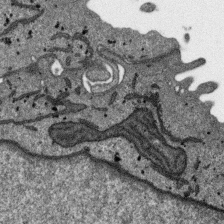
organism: Human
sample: Lung epithelial cells, uninfected (mock) control